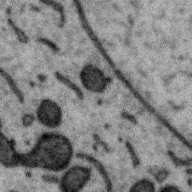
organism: Zebra finch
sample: Brain